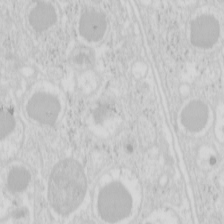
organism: Mouse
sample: Pancreas